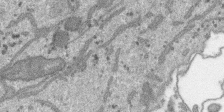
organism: Human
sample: Lung epithelial cells infected with SARS-CoV-2